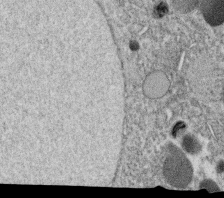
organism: C. elegans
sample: C. elegans oocyte; sperm cells